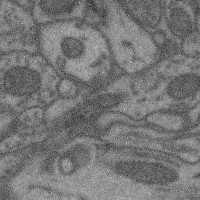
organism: Mouse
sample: Cerebral cortex